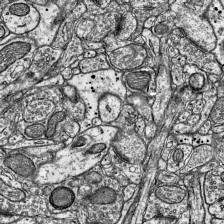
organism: Mouse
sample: Visual Cortex